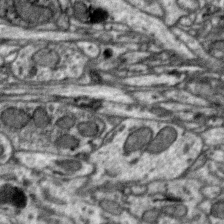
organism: Zebra finch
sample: Brain